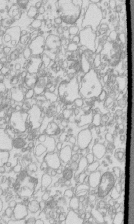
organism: Mouse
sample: Macrophages